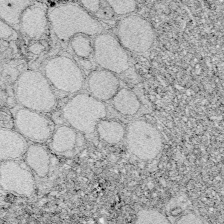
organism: Zebrafish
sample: Whole-Brain